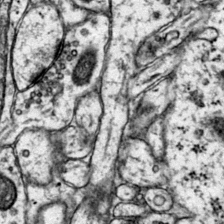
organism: Mouse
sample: Primary visual cortex